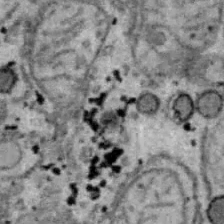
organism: Mouse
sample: Liver from an obese (ob/ob) mouse